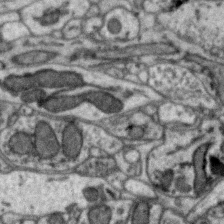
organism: Zebra finch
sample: Brain